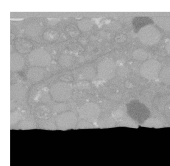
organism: C. elegans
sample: C. elegans oocyte; sperm cells